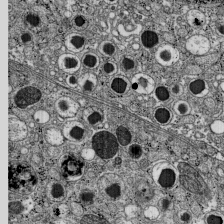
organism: C57BL Mouse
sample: Pancreatic islet